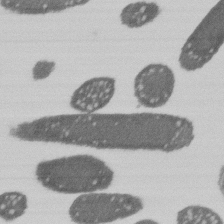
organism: E. coli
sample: Bacterial nucleoid